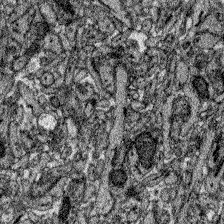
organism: Zebrafish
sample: Larval olfactory bulb